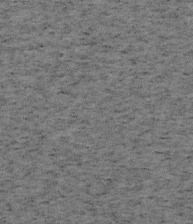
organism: Mouse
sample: OT-I killer T cells with ID8 ovarian cancer cells